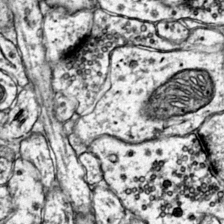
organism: Mouse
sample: Primary visual cortex